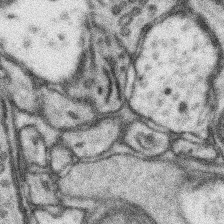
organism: Mouse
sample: Somatosensory cortex neuropil